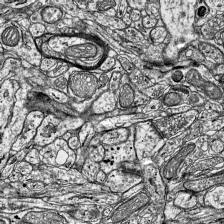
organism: Mouse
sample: Visual Cortex